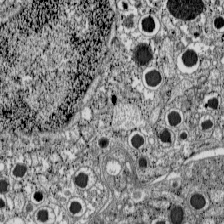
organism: C57BL Mouse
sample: Pancreatic islet